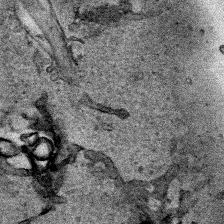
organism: Human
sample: Mitochondria in HCT116 cells